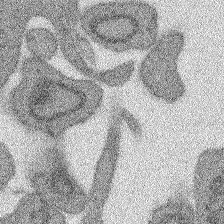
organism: Human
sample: HeLa cells